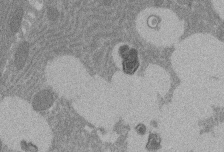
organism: Rat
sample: Salivary granule